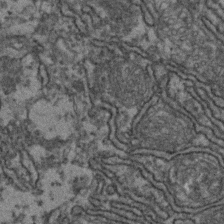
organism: Zebrafish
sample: Zebrafish embryo